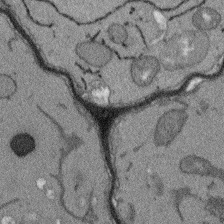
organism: Arabidopsis thaliana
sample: Root tip